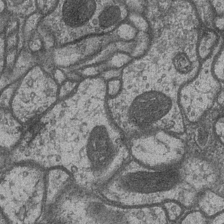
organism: Drosophila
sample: Optic medulla